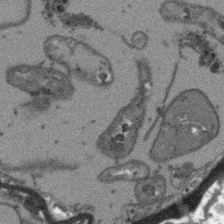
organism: Arabidopsis thaliana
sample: Root tip